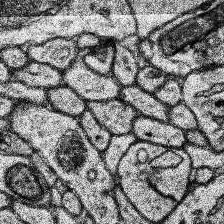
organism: Human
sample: Temporal Lobe